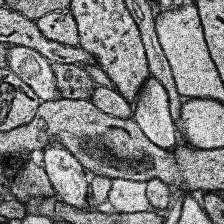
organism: Human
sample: Temporal Lobe